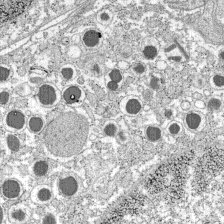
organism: C57BL Mouse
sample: Pancreatic islet